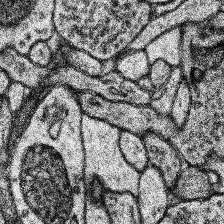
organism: Human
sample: Temporal Lobe